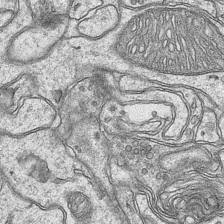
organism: Mouse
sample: CA1 Hippocampus